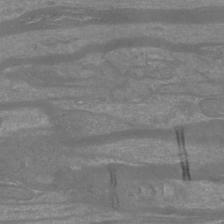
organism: Mouse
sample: Cortical neurons